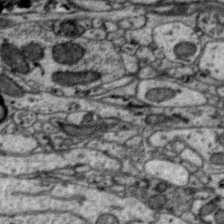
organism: Zebra finch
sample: Brain